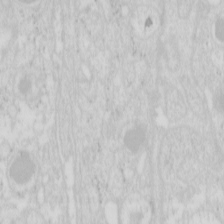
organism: Mouse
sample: Pancreas